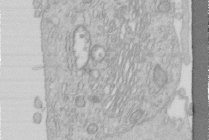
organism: Human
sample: Centriole in RPE cells